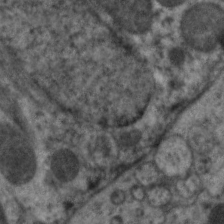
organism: C. elegans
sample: Pharynx